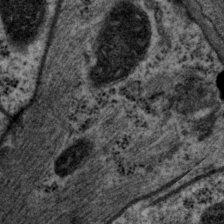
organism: P. pacificus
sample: Pharynx